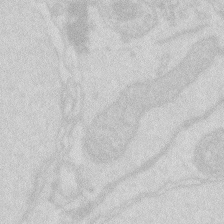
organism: Zebrafish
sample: Macrophage